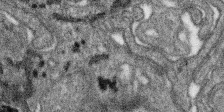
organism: Human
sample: Lung epithelial cells infected with SARS-CoV-2